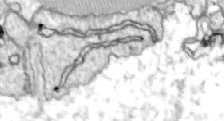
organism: Zebrafish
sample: Actinotrichia fibers